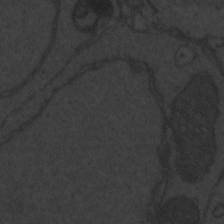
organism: Zebrafish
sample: Macrophage infected with Toxoplasma gondii